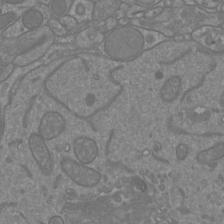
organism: Mouse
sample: Cortical neurons